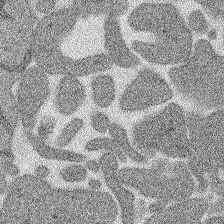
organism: Human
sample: HeLa cells